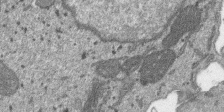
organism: Human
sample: Lung epithelial cells infected with SARS-CoV-2